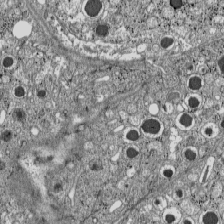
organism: C57BL Mouse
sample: Pancreatic islet